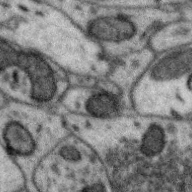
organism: Zebra finch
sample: Brain